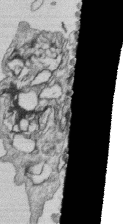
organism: Human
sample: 1205lu cells